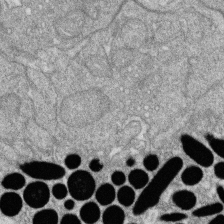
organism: Zebrafish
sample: Cilia; retinal pigment epithelium